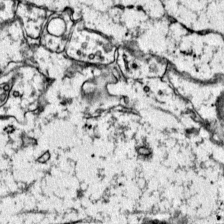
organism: Mouse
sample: Primary visual cortex